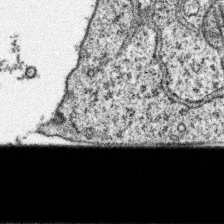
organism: Human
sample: HeLa cells